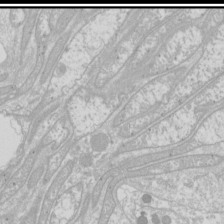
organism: Drosophila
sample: Cell division; meiosis; drosophila spermatocytes